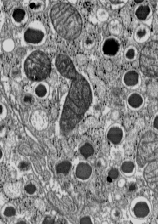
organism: C57BL Mouse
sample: Pancreatic islet